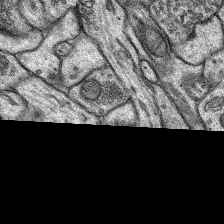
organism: Rat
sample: Hippocampus